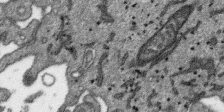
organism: Human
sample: Lung epithelial cells, uninfected (mock) control